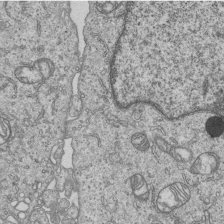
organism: Human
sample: MDA-MB-231 cells